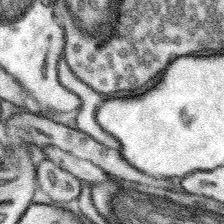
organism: Mouse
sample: Somatosensory cortex neuropil